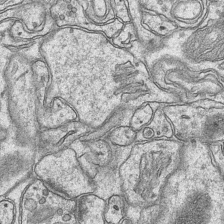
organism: Mouse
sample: CA1 Hippocampus